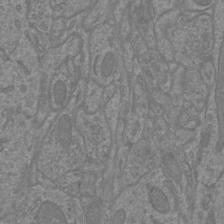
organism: Mouse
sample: Cortical neurons